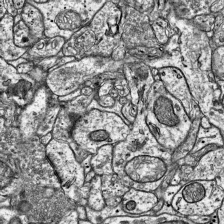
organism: Mouse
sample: Visual Cortex